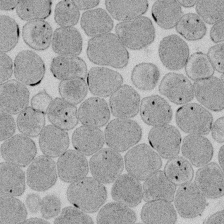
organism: E. coli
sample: Bacterial nucleoid